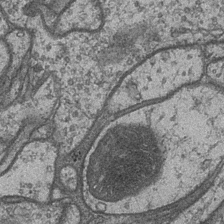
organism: Drosophila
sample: Optic medulla